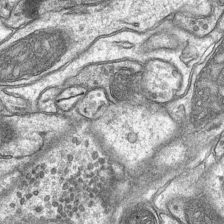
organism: Mouse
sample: CA1 Hippocampus